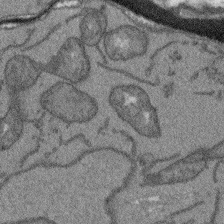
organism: Arabidopsis thaliana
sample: Root tip